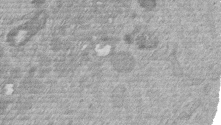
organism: Mouse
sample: Dividing mouse embryo 1 cell stage